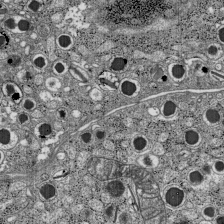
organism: C57BL Mouse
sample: Pancreatic islet